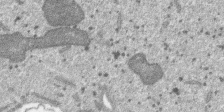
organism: Human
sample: Lung epithelial cells infected with SARS-CoV-2